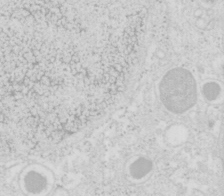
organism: Mouse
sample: Pancreas